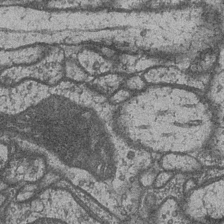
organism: Drosophila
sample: Optic medulla